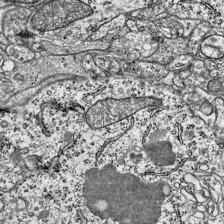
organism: Mouse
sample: Visual Cortex